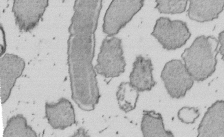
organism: E. coli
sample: Bacterial nucleoid